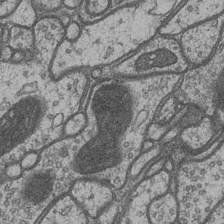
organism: Drosophila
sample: Optic medulla